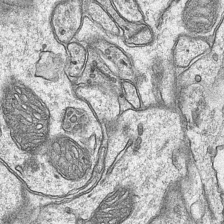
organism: Mouse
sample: CA1 Hippocampus